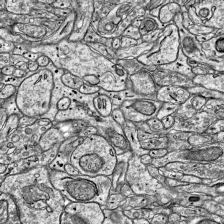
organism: Mouse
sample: Visual Cortex